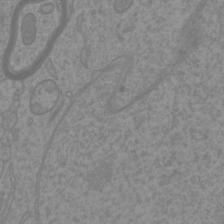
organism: Mouse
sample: Cortical neurons